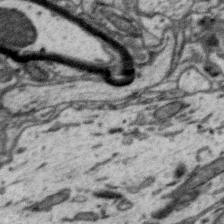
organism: Zebra finch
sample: Brain